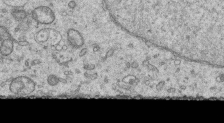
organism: Human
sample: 1205lu cells